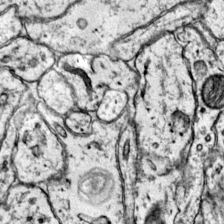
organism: Mouse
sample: Primary visual cortex